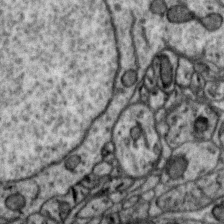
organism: Zebra finch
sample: Brain